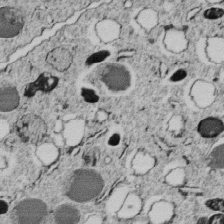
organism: C. elegans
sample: C. elegans embryo early stage